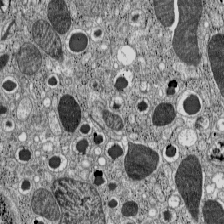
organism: C57BL Mouse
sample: Pancreatic islet